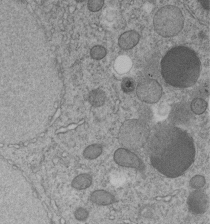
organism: C. elegans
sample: C. elegans embryo early stage